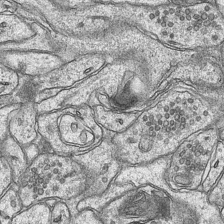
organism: Mouse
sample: CA1 Hippocampus